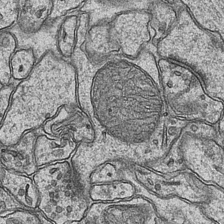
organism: Mouse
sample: CA1 Hippocampus